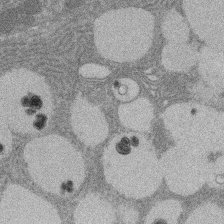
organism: Rat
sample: Salivary granule